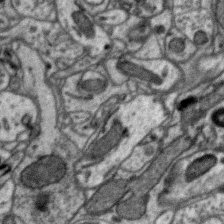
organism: Zebra finch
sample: Brain